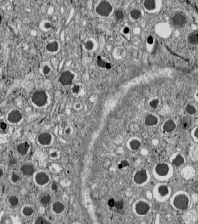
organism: C57BL Mouse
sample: Pancreatic islet